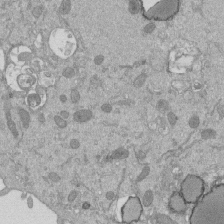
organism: Mouse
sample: ED-1 cell nuclei; centrioles